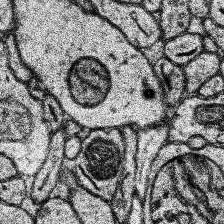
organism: Human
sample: Temporal Lobe